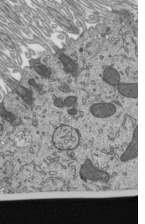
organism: Mouse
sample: Mouse epididymis efferent ductule cilia